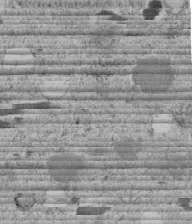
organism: C. elegans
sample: C. elegans embryo early stage